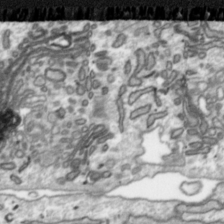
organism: Toxoplasma gondii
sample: Parasites in a vacuole inside a host cell